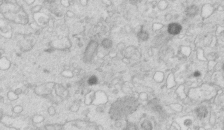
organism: Mouse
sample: Multiciliated cells